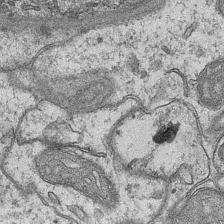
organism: Mouse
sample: CA1 Hippocampus